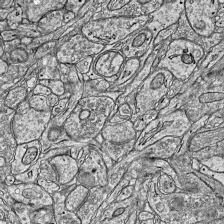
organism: Mouse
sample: Visual Cortex